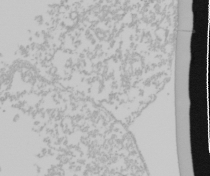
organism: Mouse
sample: Cancer cell death in ED-1 cells